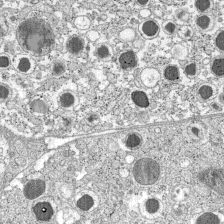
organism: C57BL Mouse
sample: Pancreatic islet